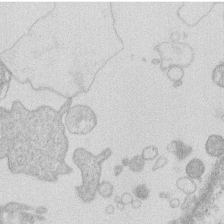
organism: Human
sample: Macrophage cells